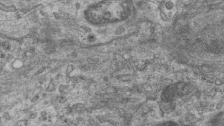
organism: Mouse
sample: Centriole in ependymal cells